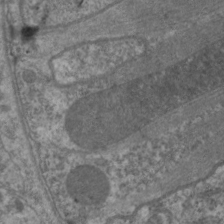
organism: C. elegans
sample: Pharynx